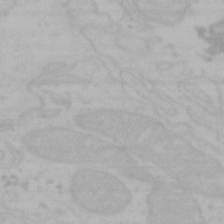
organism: Mouse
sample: Choroid plexus